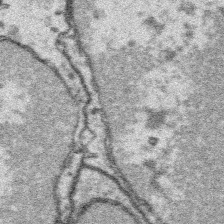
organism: Platynereis dumerilii